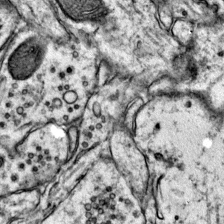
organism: Mouse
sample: Primary visual cortex